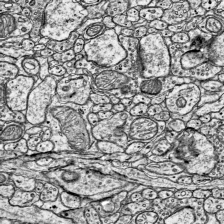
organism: Mouse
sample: Visual Cortex